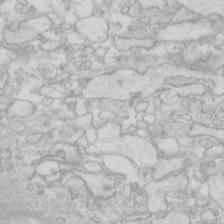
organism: Human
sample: Fibroblast cells